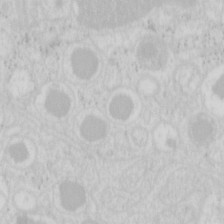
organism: Mouse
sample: Pancreas